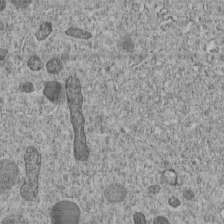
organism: C. elegans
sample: C. elegans embryo early stage